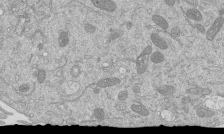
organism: Mouse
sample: ED-1 cell nuclei; centrioles